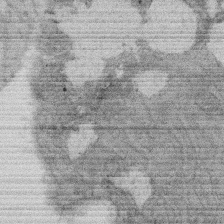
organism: Rat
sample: Salivary granule